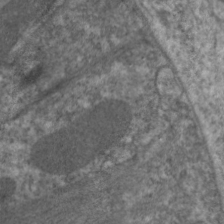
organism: C. elegans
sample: Pharynx